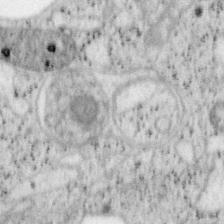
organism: Mouse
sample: OT-I killer T cells with ID8 ovarian cancer cells